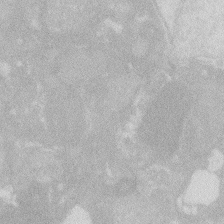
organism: Zebrafish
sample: Macrophage